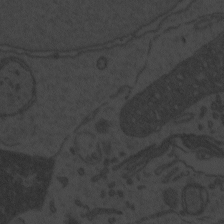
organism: Zebrafish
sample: Macrophage infected with Toxoplasma gondii